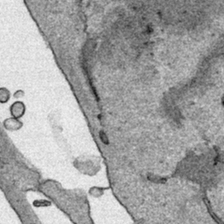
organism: Human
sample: Mitochondria in HCT116 cells